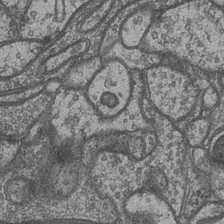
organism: Drosophila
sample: Optic medulla